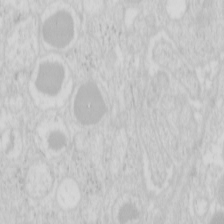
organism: Mouse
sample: Pancreas